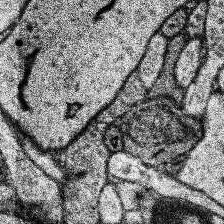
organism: Human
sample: Temporal Lobe